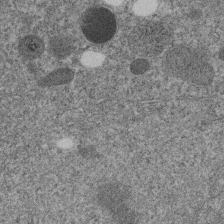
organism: C. elegans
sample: C. elegans embryo early stage